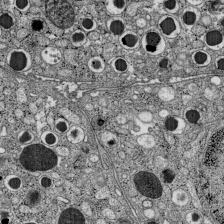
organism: C57BL Mouse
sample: Pancreatic islet